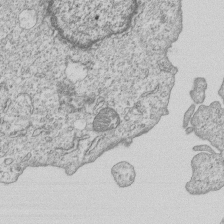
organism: Human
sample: MDA-MB-231 cells